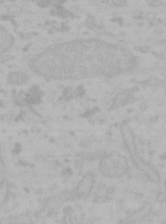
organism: Mouse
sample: Choroid plexus